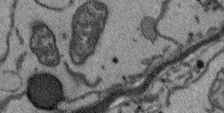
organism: Arabidopsis thaliana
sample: Root tip